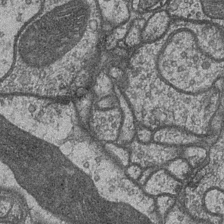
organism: Drosophila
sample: Optic medulla